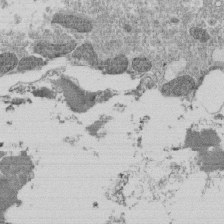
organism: Tetrahymena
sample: Cilia in tetrahymena